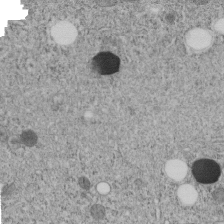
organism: C. elegans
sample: C. elegans embryo early stage